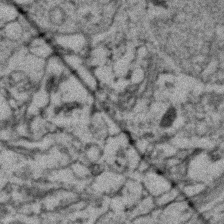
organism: Zebrafish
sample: Zebrafish embryo